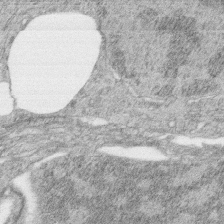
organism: Zebrafish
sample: synaptic ribbons in rod cells and cone cells